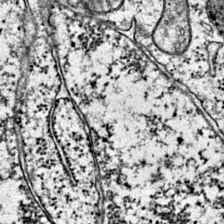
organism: Mouse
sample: Primary visual cortex